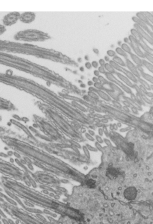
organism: Mouse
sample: Mouse epididymis efferent ductule cilia